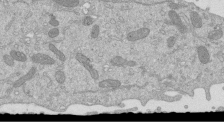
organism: Mouse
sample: ED-1 cell nuclei; centrioles